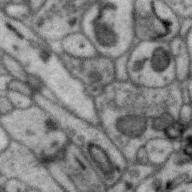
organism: Zebra finch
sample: Brain